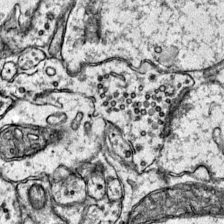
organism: Mouse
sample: Primary visual cortex